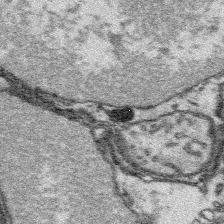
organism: Platynereis dumerilii